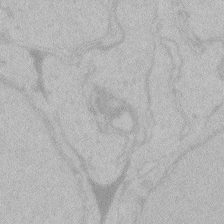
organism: Zebrafish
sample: Macrophage infected with Toxoplasma gondii